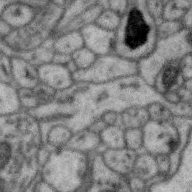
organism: Zebra finch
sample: Brain